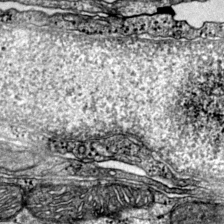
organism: Mouse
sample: Primary visual cortex